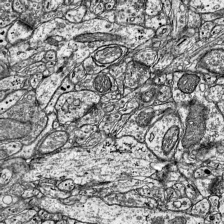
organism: Mouse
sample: Visual Cortex